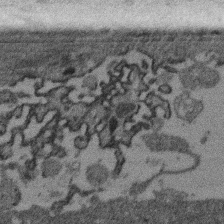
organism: Mouse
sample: Dividing mouse embryo 1 cell stage